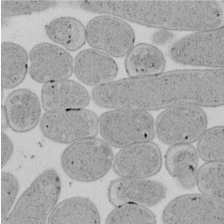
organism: E. coli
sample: Bacterial nucleoid